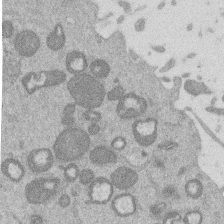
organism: Mouse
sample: Dividing mouse embryo 1 cell stage